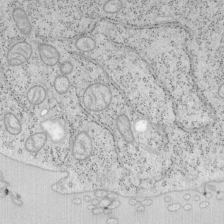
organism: Mouse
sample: OT-I killer T cells with ID8 ovarian cancer cells